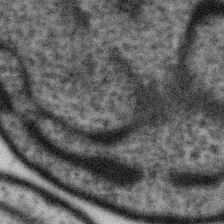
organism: Gemmata obscuriglobus